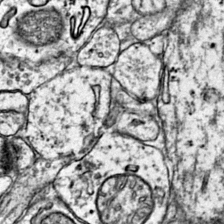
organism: Mouse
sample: Primary visual cortex